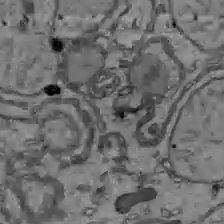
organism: C57BL Mouse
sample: Liver